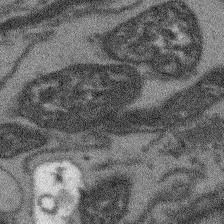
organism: Arabidopsis thaliana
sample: Root tip